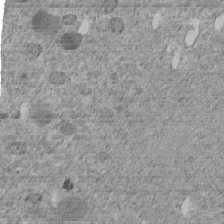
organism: C. elegans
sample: C. elegans embryo early stage